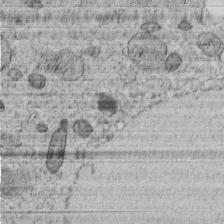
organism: C. elegans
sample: C. elegans embryo early stage